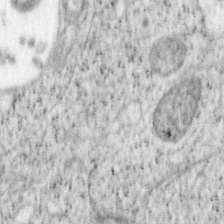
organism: Mouse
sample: OT-I killer T cells with ID8 ovarian cancer cells